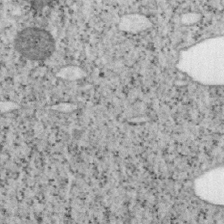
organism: Mouse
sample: OT-I killer T cells with ID8 ovarian cancer cells